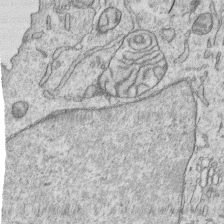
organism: Human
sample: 1205lu cells